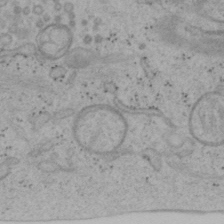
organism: Human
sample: HeLa cells